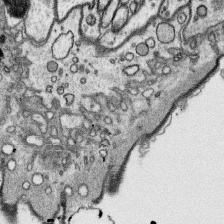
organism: Platynereis dumerilii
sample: Parapodia